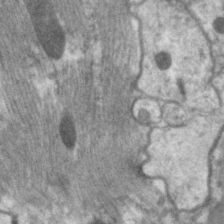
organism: C. elegans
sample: Pharynx